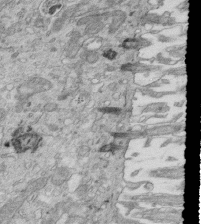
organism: Mouse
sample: Multiciliated cells